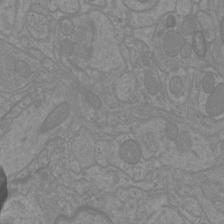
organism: Mouse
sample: Cortical neurons